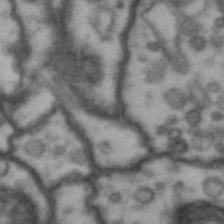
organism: Drosophila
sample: Brain